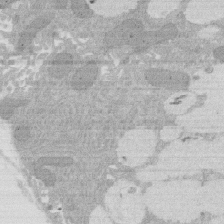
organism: Rat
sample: Salivary granule